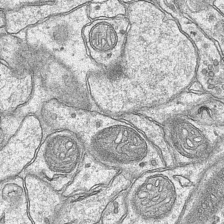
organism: Mouse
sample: CA1 Hippocampus